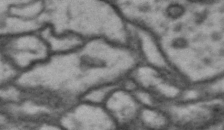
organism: Drosophila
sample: Brain